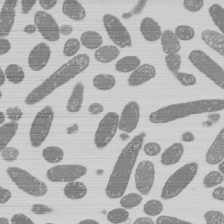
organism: E. coli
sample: Bacterial nucleoid